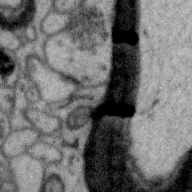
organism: Zebra finch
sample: Brain